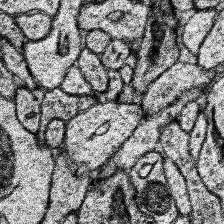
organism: Human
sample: Temporal Lobe